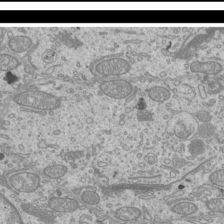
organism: Mouse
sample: Cilia; mouse epididymis